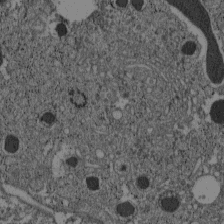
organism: C57BL Mouse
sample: Pancreatic islet